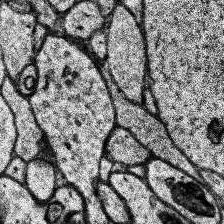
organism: Human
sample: Temporal Lobe